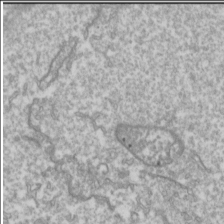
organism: Drosophila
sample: Cell division; meiosis; drosophila spermatocytes